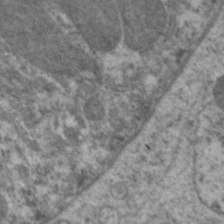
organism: C. elegans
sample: Pharynx